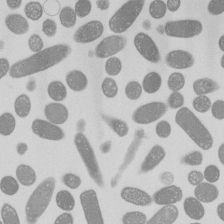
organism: E. coli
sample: Bacterial nucleoid